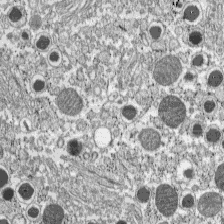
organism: C57BL Mouse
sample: Pancreatic islet